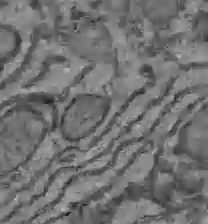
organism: C57BL Mouse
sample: Liver